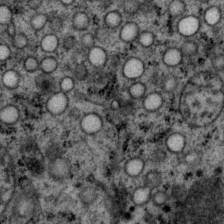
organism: P. pacificus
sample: Pharynx